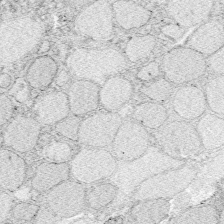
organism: Zebrafish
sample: Whole-Brain